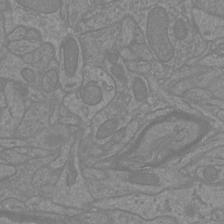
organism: Mouse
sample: Cortical neurons